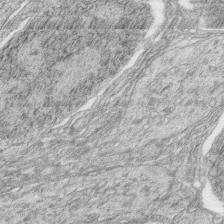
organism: Zebrafish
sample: synaptic ribbons in rod cells and cone cells